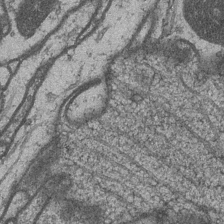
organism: Drosophila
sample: Optic medulla